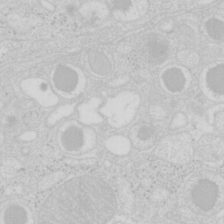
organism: Mouse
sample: Pancreas